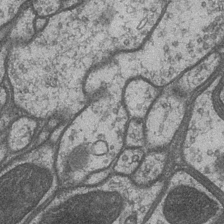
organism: Drosophila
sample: Optic medulla